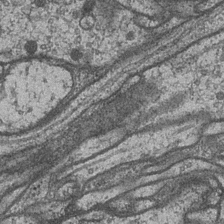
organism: Drosophila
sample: Optic medulla